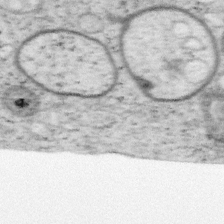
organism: Mouse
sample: OT-I killer T cells with ID8 ovarian cancer cells